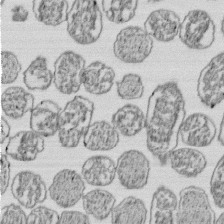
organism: E. coli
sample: Bacterial nucleoid